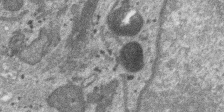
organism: Human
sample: Lung epithelial cells infected with SARS-CoV-2